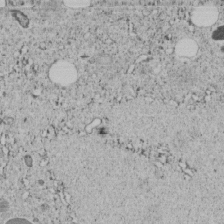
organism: C. elegans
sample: C. elegans embryo early stage